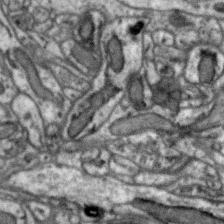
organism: Zebra finch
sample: Brain